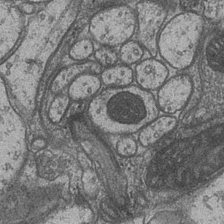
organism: Drosophila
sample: Optic medulla